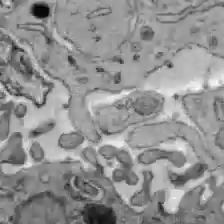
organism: C57BL Mouse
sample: Liver